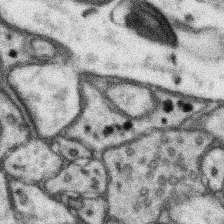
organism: Mouse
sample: Somatosensory cortex neuropil